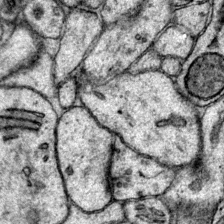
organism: Mouse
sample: Primary visual cortex